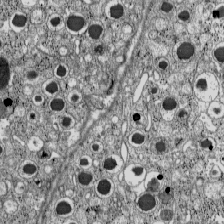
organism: C57BL Mouse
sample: Pancreatic islet